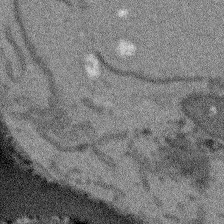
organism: Arabidopsis thaliana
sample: Root tip